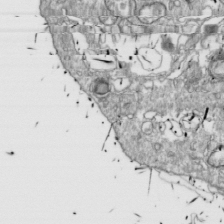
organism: Drosophila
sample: Cell division; meiosis; drosophila spermatocytes